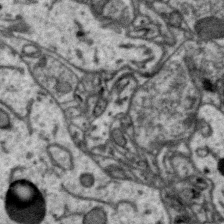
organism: Zebra finch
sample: Brain